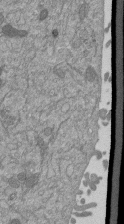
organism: Mouse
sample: ED-1 cell nuclei; centrioles